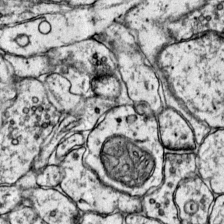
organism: Mouse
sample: Primary visual cortex